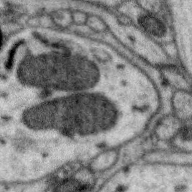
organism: Zebra finch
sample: Brain